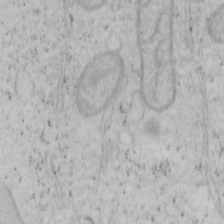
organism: Human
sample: HeLa cells